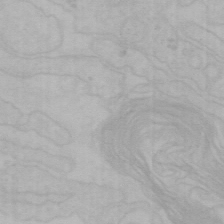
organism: Mouse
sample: Choroid plexus